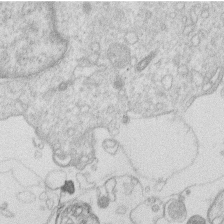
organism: Human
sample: Macrophage cells